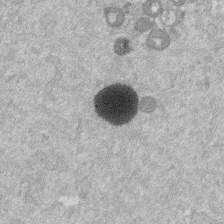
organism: Mouse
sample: Dividing mouse embryo 1 cell stage